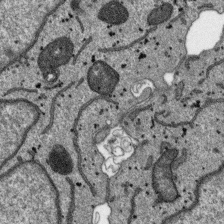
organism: Human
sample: Lung epithelial cells, uninfected (mock) control